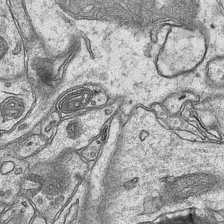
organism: Mouse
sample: CA1 Hippocampus